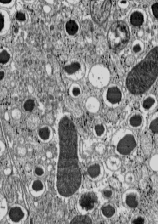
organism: C57BL Mouse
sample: Pancreatic islet